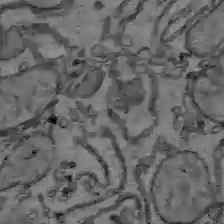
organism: C57BL Mouse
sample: Liver